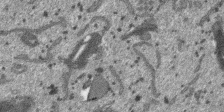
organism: Human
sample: Lung epithelial cells infected with SARS-CoV-2